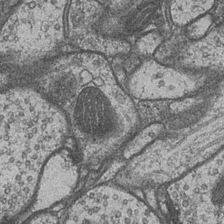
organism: Drosophila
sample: Optic medulla